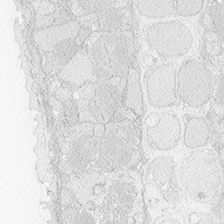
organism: Zebrafish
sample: Whole-Brain